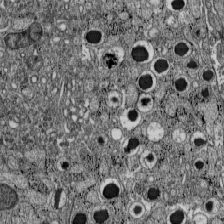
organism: C57BL Mouse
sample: Pancreatic islet